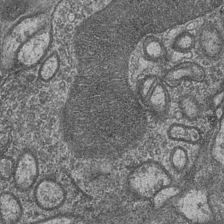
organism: Drosophila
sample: Optic medulla